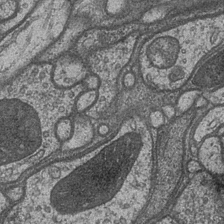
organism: Drosophila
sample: Optic medulla